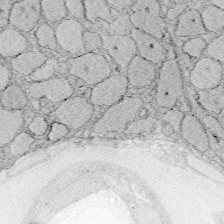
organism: Zebrafish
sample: Whole-Brain